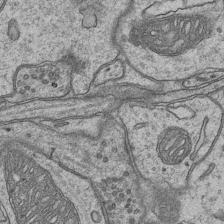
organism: Mouse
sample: CA1 Hippocampus